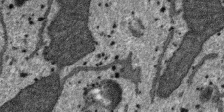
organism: Human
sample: Lung epithelial cells, uninfected (mock) control